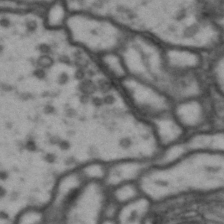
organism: Drosophila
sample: Brain